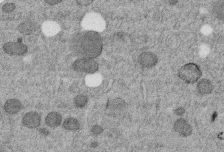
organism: C. elegans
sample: C. elegans embryo early stage